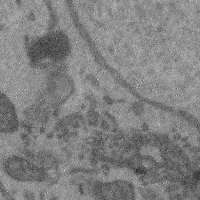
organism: Mouse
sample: Cerebral cortex